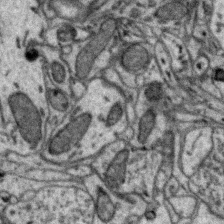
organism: Zebra finch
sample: Brain